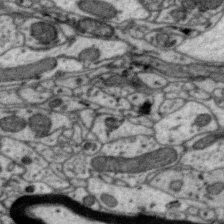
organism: Zebra finch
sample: Brain